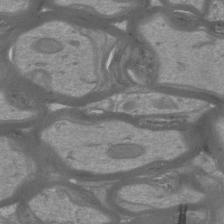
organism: Mouse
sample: Cortical neurons